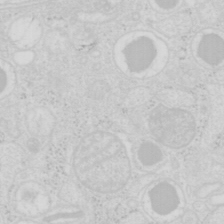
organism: Mouse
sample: Pancreas